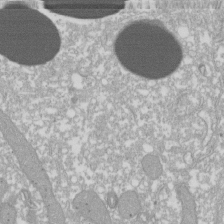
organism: Xenopus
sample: Cilia; centrioles in frog embryo cells